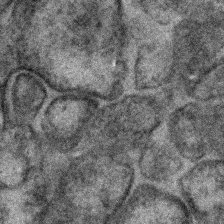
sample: Kidney